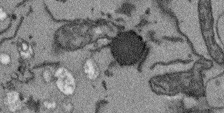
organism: Arabidopsis thaliana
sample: Root tip